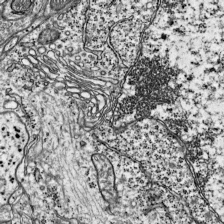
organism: Mouse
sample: Visual Cortex